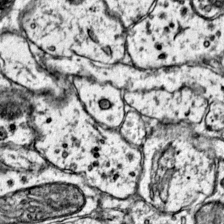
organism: Mouse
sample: Primary visual cortex